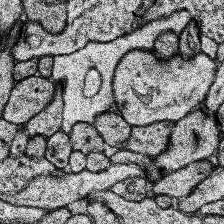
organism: Human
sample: Temporal Lobe